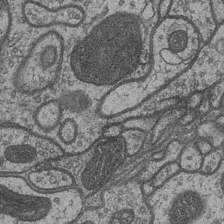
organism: Drosophila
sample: Optic medulla